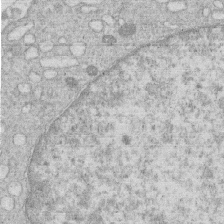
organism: Human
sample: Macrophage cells